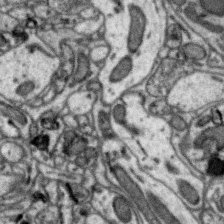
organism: Zebra finch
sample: Brain